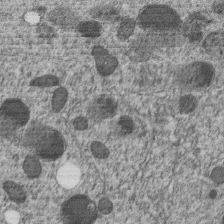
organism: C. elegans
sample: C. elegans embryo early stage